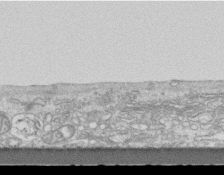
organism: Mouse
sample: Centriole in ependymal cells